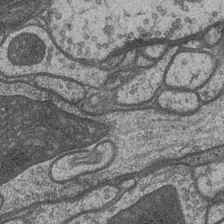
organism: Drosophila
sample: Optic medulla